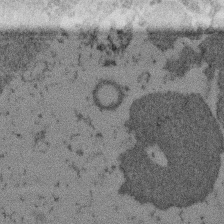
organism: Mouse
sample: Dividing mouse embryo 1 cell stage